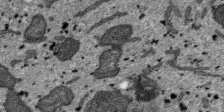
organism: Human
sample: Lung epithelial cells, uninfected (mock) control